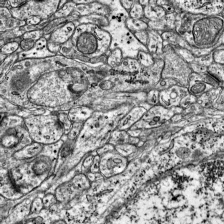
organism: Mouse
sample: Visual Cortex